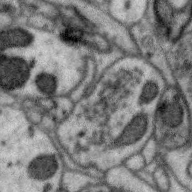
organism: Zebra finch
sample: Brain